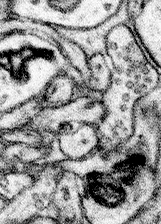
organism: Mouse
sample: Somatosensory cortex neuropil